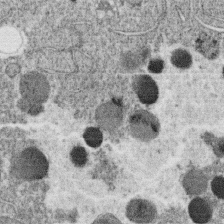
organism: C. elegans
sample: C. elegans oocyte; sperm cells